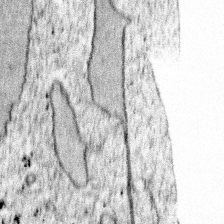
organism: Human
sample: HeLa cells